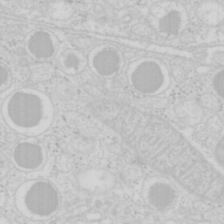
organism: Mouse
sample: Pancreas